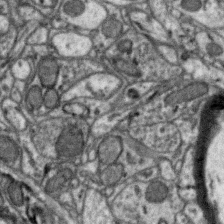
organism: Zebra finch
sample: Brain